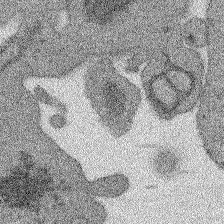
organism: Human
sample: HeLa cells